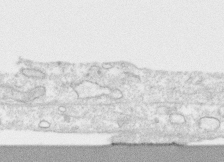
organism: Human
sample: CRL-1474